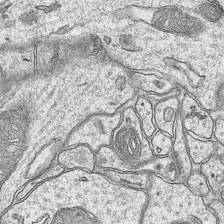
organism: Mouse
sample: CA1 Hippocampus